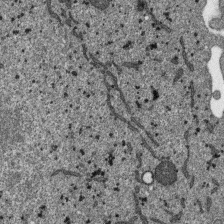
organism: Human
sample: Lung epithelial cells infected with SARS-CoV-2